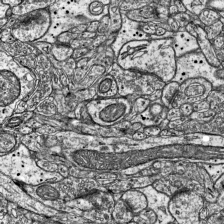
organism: Mouse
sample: Visual Cortex